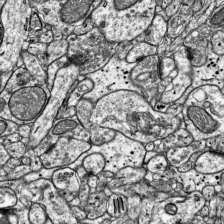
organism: Mouse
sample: Visual Cortex